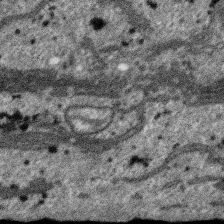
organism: Human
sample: Lung epithelial cells infected with SARS-CoV-2